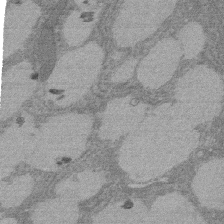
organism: Rat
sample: Salivary granule